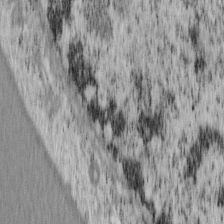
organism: Human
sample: HeLa cells